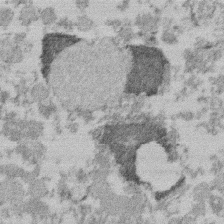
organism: Mouse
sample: Dividing mouse embryo 1 cell stage